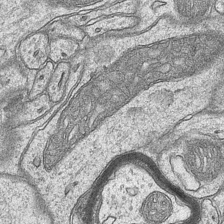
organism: Mouse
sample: CA1 Hippocampus